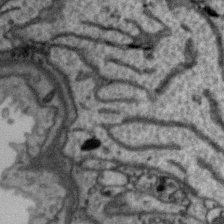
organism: Zebra finch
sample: Brain